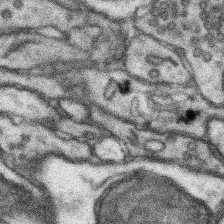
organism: Mouse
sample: Somatosensory cortex neuropil